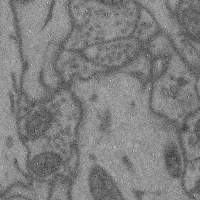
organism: Mouse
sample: Cerebral cortex